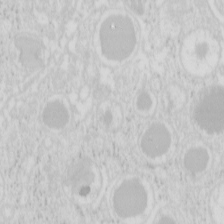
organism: Mouse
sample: Pancreas